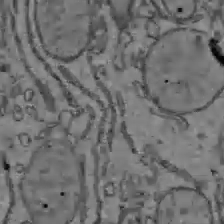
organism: C57BL Mouse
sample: Liver